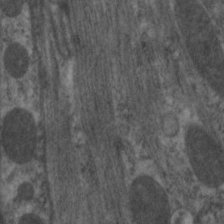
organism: C. elegans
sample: Pharynx